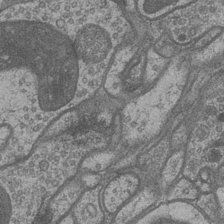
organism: Drosophila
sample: Optic medulla